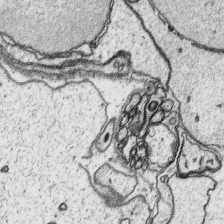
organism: Platynereis dumerilii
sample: Parapodia